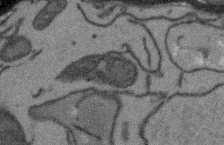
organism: Arabidopsis thaliana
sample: Root tip